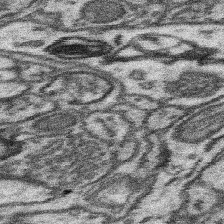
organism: Mouse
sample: Somatosensory cortex neuropil